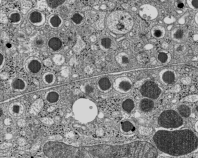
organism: C57BL Mouse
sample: Pancreatic islet